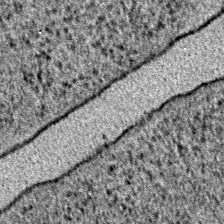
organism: E. coli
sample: E. Coli Bacteria